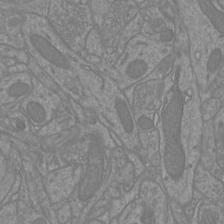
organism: Mouse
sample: Cortical neurons